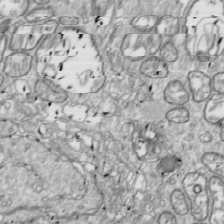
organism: Drosophila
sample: Cell division; meiosis; drosophila spermatocytes